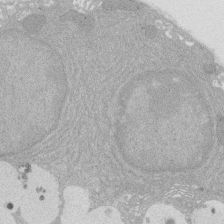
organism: Rat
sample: Salivary granule